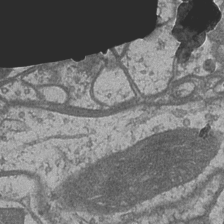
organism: Drosophila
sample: Optic medulla